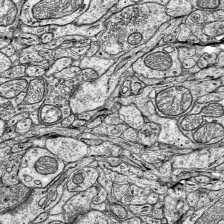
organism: Mouse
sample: Visual Cortex